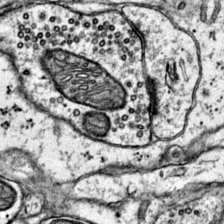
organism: Mouse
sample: Primary visual cortex